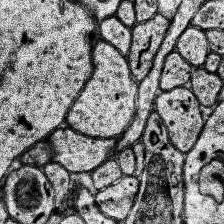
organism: Human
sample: Temporal Lobe